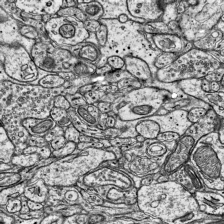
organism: Mouse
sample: Visual Cortex